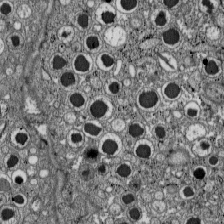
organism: C57BL Mouse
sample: Pancreatic islet